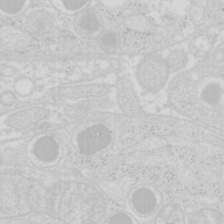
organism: Mouse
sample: Pancreas